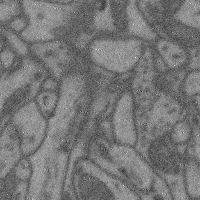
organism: Mouse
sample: Cerebral cortex